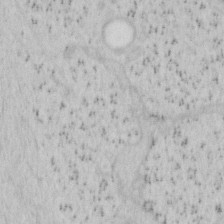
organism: Human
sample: HeLa cells